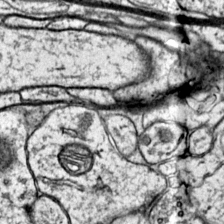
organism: Mouse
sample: Primary visual cortex